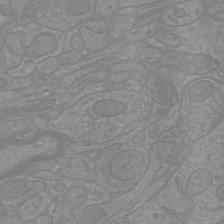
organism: Mouse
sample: Cortical neurons